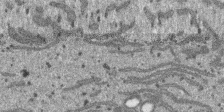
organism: Human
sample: Lung epithelial cells infected with SARS-CoV-2